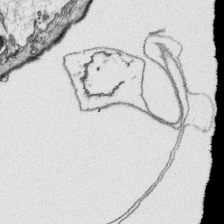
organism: Platynereis dumerilii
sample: Parapodia